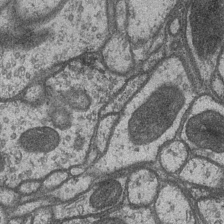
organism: Drosophila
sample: Optic medulla